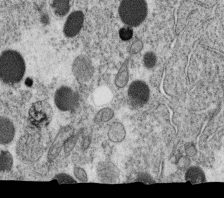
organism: C. elegans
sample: C. elegans oocyte; sperm cells